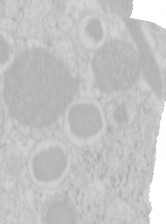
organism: Mouse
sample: Pancreas